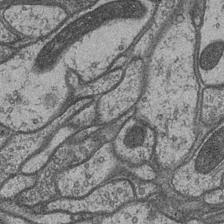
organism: Drosophila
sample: Optic medulla